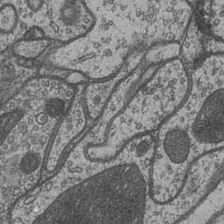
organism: Drosophila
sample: Optic medulla